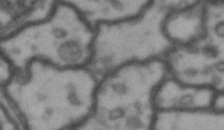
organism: Drosophila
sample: Brain